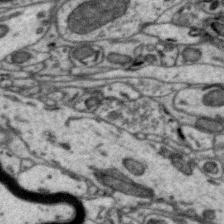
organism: Zebra finch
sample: Brain